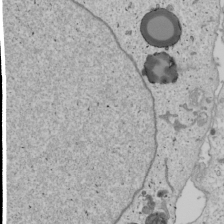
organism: Human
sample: Mitochondria in U2OS cells